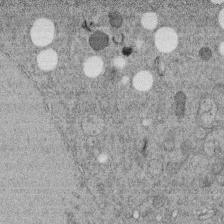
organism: C. elegans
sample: C. elegans embryo early stage